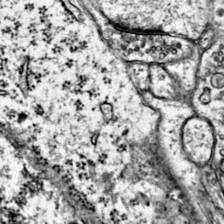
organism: Mouse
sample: Primary visual cortex